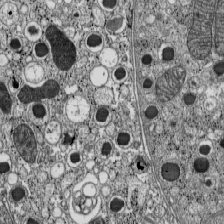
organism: C57BL Mouse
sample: Pancreatic islet